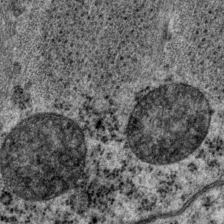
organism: P. pacificus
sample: Pharynx